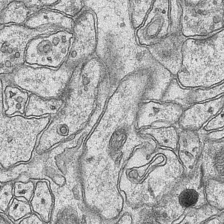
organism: Mouse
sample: CA1 Hippocampus